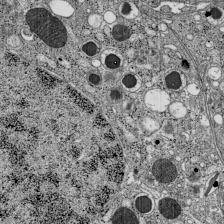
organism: C57BL Mouse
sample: Pancreatic islet